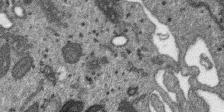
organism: Human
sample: Lung epithelial cells infected with SARS-CoV-2